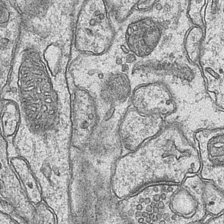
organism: Mouse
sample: CA1 Hippocampus